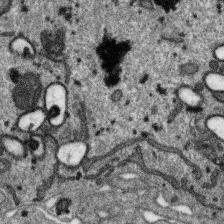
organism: Human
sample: Lung epithelial cells infected with SARS-CoV-2